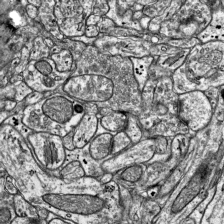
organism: Mouse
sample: Visual Cortex